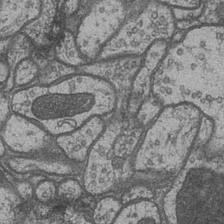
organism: Drosophila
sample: Optic medulla